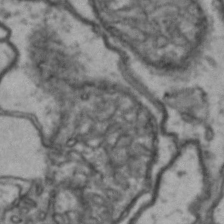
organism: Drosophila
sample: Brain